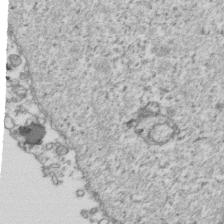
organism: Human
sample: Activated Jurkat CD4+ T cells